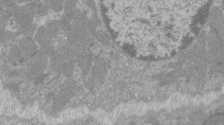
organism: C57BL Mouse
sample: Tibialis anterior muscle cell